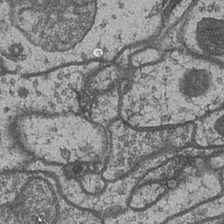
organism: Drosophila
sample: Optic medulla